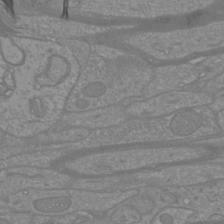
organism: Mouse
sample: Cortical neurons